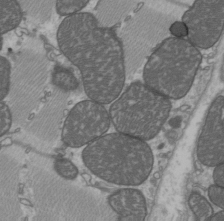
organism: C57BL Mouse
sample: Heart